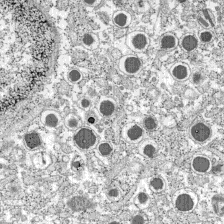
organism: C57BL Mouse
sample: Pancreatic islet